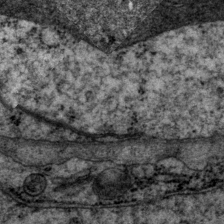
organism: P. pacificus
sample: Pharynx